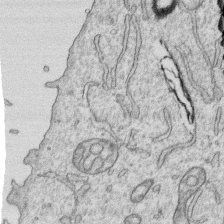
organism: Human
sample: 1205lu cells